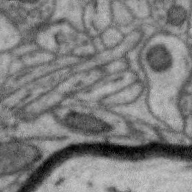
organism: Zebra finch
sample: Brain